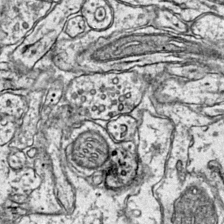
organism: Mouse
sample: Primary visual cortex